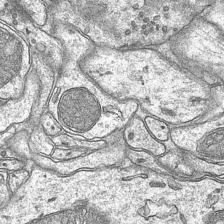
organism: Mouse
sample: CA1 Hippocampus